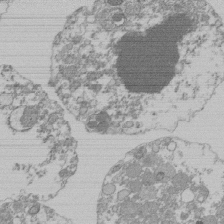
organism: Mouse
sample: Activated Pmel transgenic CD8+ T Cells